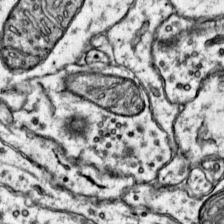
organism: Mouse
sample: Primary visual cortex